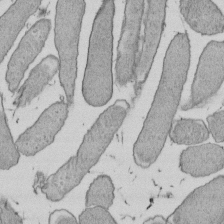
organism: E. coli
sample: Bacterial nucleoid